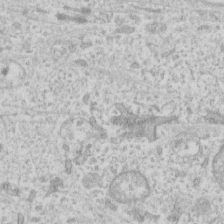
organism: Human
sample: Fibroblast cells